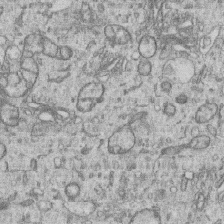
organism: Human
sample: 1205lu cells